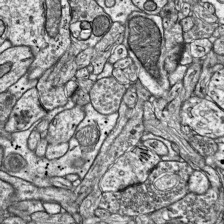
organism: Mouse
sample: Visual Cortex